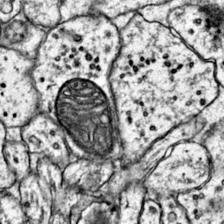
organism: Mouse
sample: Primary visual cortex